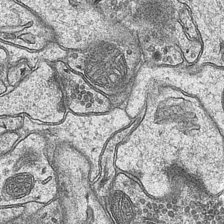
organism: Mouse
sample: CA1 Hippocampus